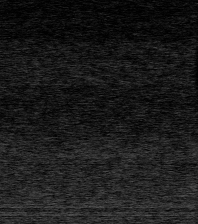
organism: Human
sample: HeLa cells